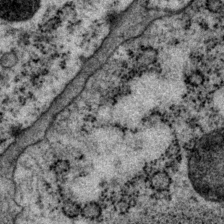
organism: P. pacificus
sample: Pharynx